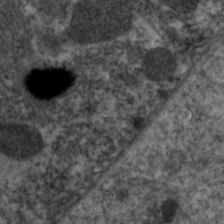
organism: C. elegans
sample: Pharynx